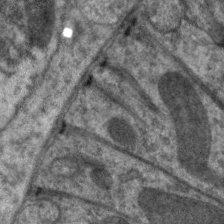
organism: C. elegans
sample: Pharynx